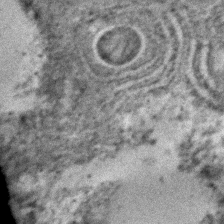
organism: C. elegans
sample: C. elegans embryo